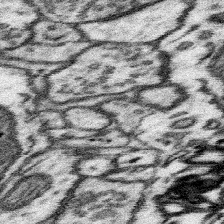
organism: Mouse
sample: Somatosensory cortex neuropil